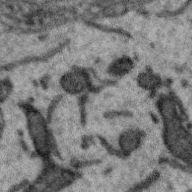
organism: Zebra finch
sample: Brain